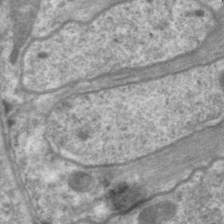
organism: C. elegans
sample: Pharynx